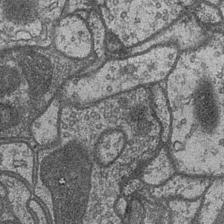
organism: Drosophila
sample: Optic medulla